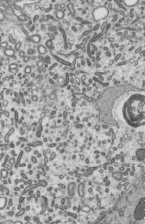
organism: Mouse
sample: Mouse epididymis efferent ductule cilia